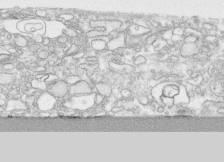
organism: Human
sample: CRL-1474